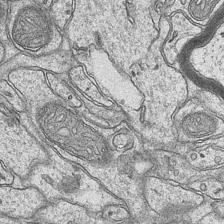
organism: Mouse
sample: CA1 Hippocampus